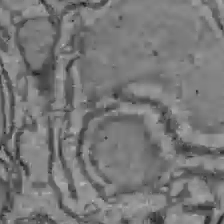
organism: C57BL Mouse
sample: Liver